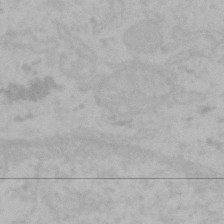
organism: Mouse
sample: Choroid plexus